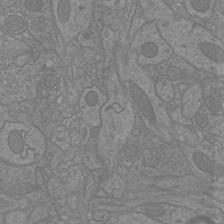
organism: Mouse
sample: Cortical neurons